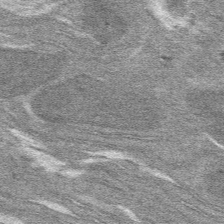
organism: Mouse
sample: Mouse hepatocytes